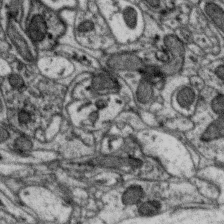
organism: Zebra finch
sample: Brain